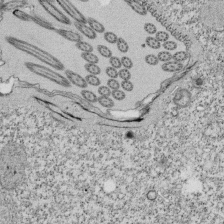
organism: Tetrahymena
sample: Cilia in tetrahymena